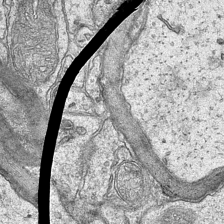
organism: Mouse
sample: CA1 Hippocampus